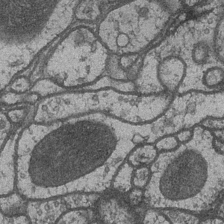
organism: Drosophila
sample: Optic medulla